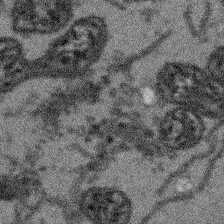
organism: Arabidopsis thaliana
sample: Root tip